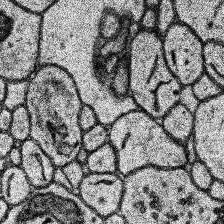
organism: Human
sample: Temporal Lobe